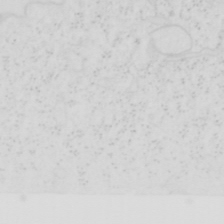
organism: Human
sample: SUM-159 cell